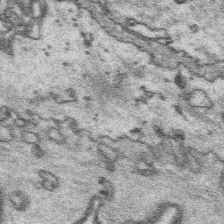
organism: Platynereis dumerilii